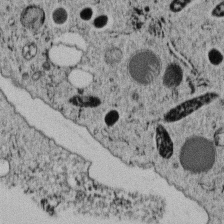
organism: C. elegans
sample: C. elegans embryo early stage